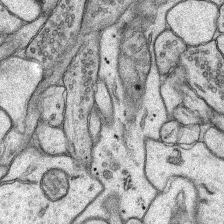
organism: Rat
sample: Hippocampus